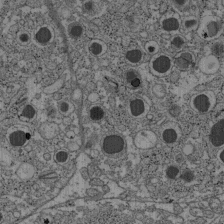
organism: C57BL Mouse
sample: Pancreatic islet